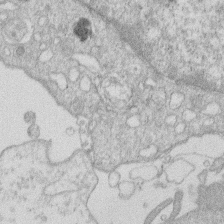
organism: Human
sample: Macrophage cells